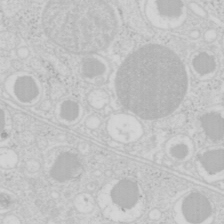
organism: Mouse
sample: Pancreas